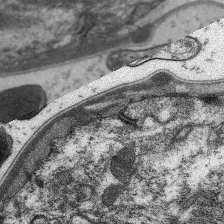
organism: C. elegans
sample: Pharynx